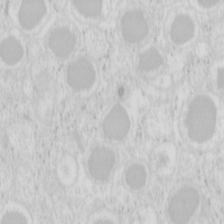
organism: Mouse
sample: Pancreas